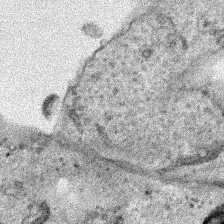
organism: Human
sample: Mitochondria in HCT116 cells